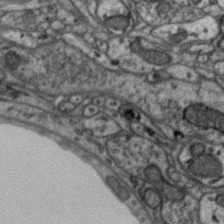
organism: Zebra finch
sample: Brain